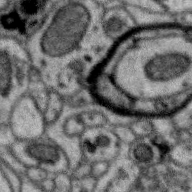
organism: Zebra finch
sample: Brain